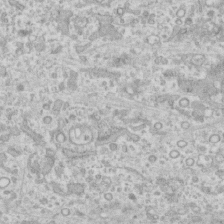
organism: Human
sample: CRL-1474